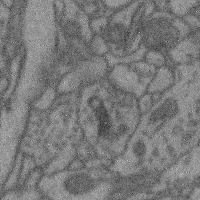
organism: Mouse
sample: Cerebral cortex